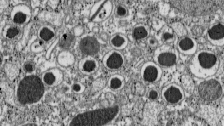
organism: C57BL Mouse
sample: Pancreatic islet